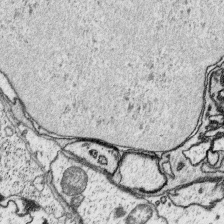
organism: Platynereis dumerilii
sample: Parapodia